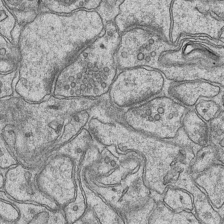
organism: Mouse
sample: CA1 Hippocampus